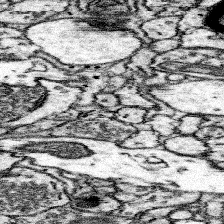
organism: Mouse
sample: Somatosensory cortex neuropil